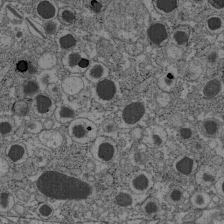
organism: C57BL Mouse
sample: Pancreatic islet